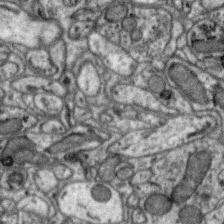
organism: Zebra finch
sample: Brain